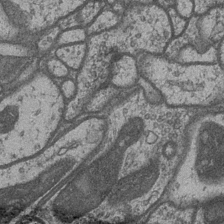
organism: Drosophila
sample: Optic medulla